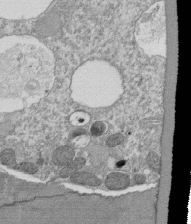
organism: Tetrahymena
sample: Cilia in tetrahymena